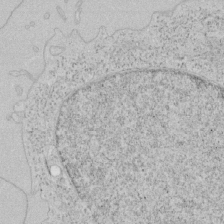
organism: Human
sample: Mitochondria in HCT116 cells